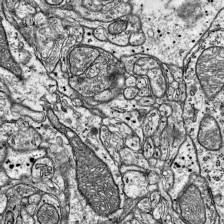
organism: Mouse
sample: Visual Cortex